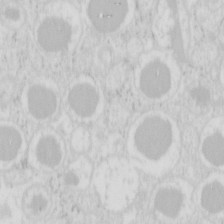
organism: Mouse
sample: Pancreas